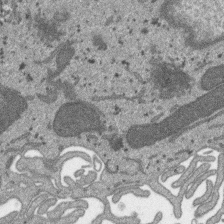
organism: Human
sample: Lung epithelial cells infected with SARS-CoV-2